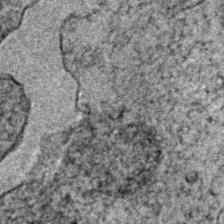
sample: Trachea